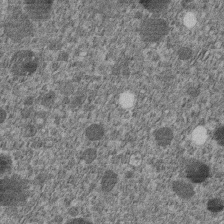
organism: C. elegans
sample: C. elegans embryo early stage